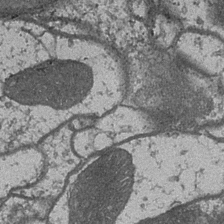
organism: Drosophila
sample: Optic medulla